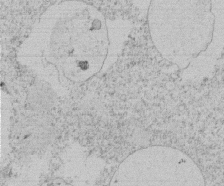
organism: Tetrahymena